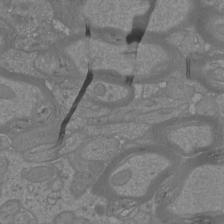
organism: Mouse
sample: Cortical neurons